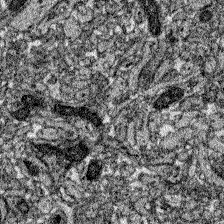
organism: Zebrafish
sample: Larval olfactory bulb